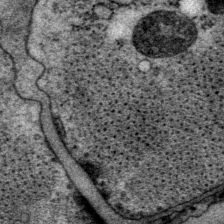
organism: P. pacificus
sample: Pharynx